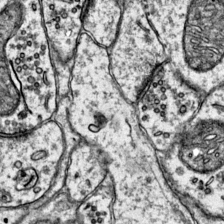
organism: Mouse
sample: Primary visual cortex